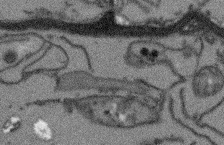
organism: Arabidopsis thaliana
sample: Root tip